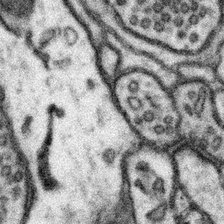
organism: Mouse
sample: Somatosensory cortex neuropil